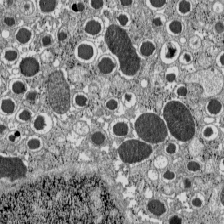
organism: C57BL Mouse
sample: Pancreatic islet